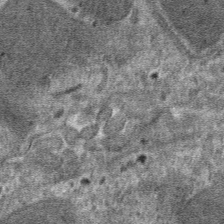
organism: Mouse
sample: Mouse hepatocytes